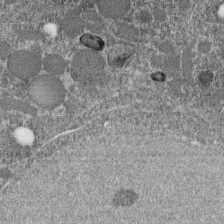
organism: C. elegans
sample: C. elegans embryo early stage